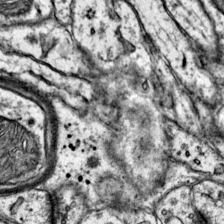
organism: Mouse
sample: Primary visual cortex